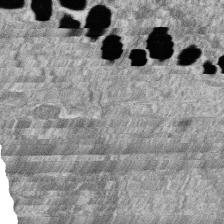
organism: Zebrafish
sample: Cilia; retinal pigment epithelium